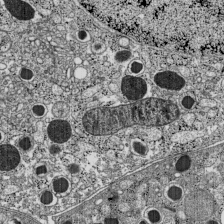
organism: C57BL Mouse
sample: Pancreatic islet